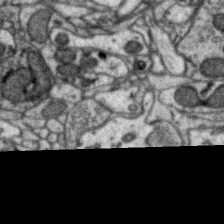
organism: Zebra finch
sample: Brain